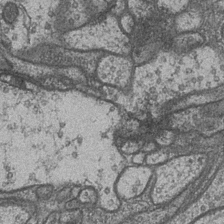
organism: Drosophila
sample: Optic medulla